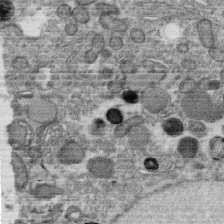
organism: C. elegans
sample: C. elegans oocyte; sperm cells